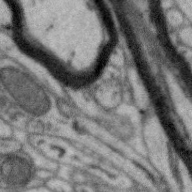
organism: Zebra finch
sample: Brain